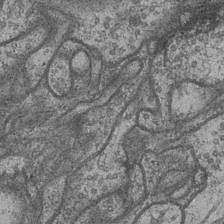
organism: Drosophila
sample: Optic medulla